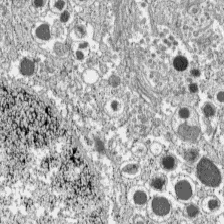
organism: C57BL Mouse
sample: Pancreatic islet